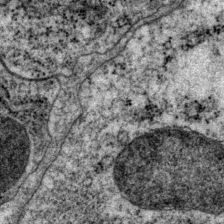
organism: P. pacificus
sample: Pharynx